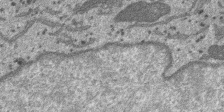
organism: Human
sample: Lung epithelial cells infected with SARS-CoV-2